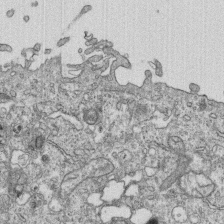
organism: Human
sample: HeLa cell HIV synapse